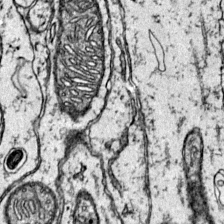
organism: Mouse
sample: Primary visual cortex